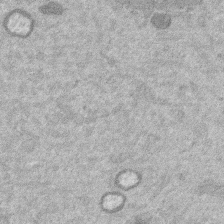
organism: Mouse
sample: Dividing mouse embryo 1 cell stage